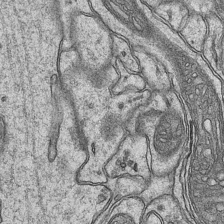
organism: Mouse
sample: CA1 Hippocampus